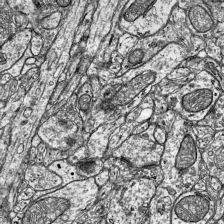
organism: Mouse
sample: Visual Cortex